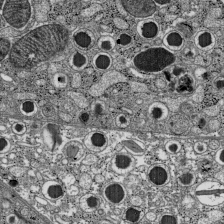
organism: C57BL Mouse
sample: Pancreatic islet